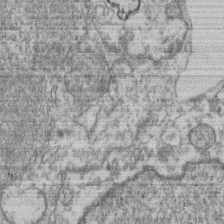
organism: Mouse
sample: T cell stromal cell synapse